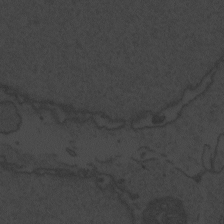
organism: Zebrafish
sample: Macrophage infected with Toxoplasma gondii